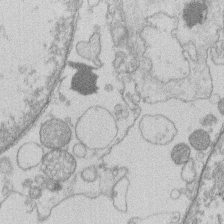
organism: Human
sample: Macrophage cells